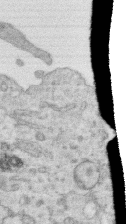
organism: Human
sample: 1205lu cells